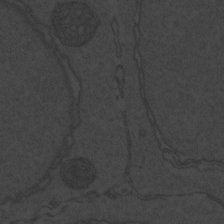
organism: Zebrafish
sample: Macrophage infected with Toxoplasma gondii